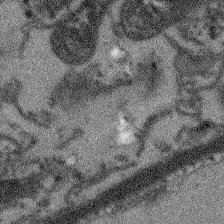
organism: Arabidopsis thaliana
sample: Root tip